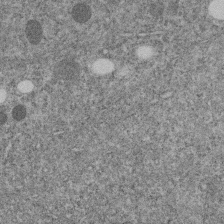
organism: C. elegans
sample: C. elegans embryo early stage